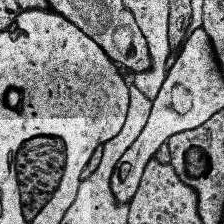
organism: Human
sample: Temporal Lobe